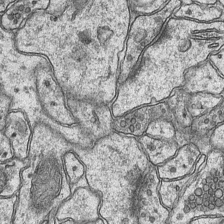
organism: Mouse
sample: CA1 Hippocampus